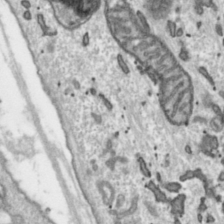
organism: Toxoplasma gondii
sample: Parasites in a vacuole inside a host cell